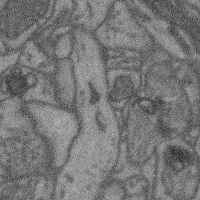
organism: Mouse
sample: Cerebral cortex